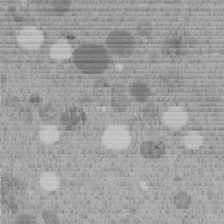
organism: C. elegans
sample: C. elegans embryo early stage